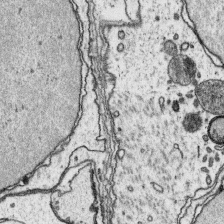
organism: Platynereis dumerilii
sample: Parapodia